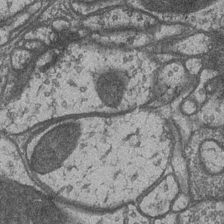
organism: Drosophila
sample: Optic medulla